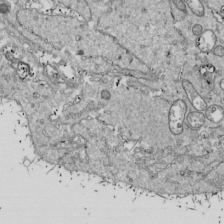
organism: Drosophila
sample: Cell division; meiosis; drosophila spermatocytes